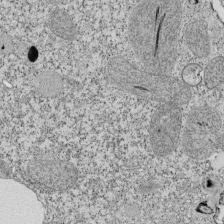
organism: Tetrahymena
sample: Cilia in tetrahymena